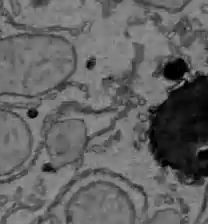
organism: C57BL Mouse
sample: Liver